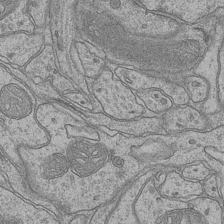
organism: Mouse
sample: CA1 Hippocampus